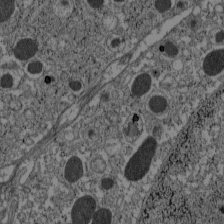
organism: C57BL Mouse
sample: Pancreatic islet